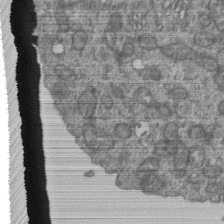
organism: Human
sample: Retinal organoid Rod and Cone cells